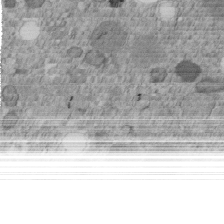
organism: C. elegans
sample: C. elegans embryo early stage